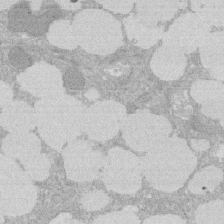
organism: Rat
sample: Salivary granule